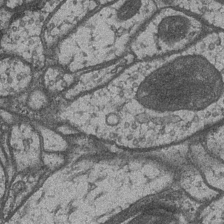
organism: Drosophila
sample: Optic medulla